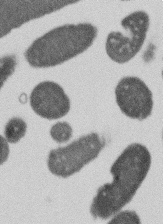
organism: E. coli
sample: Bacterial nucleoid